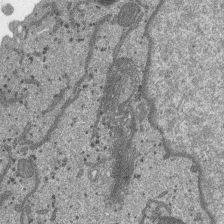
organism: Human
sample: Lung epithelial cells infected with SARS-CoV-2